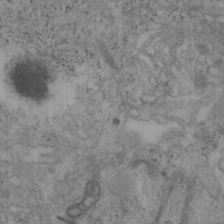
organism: Mouse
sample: OT-I killer T cells with ID8 ovarian cancer cells